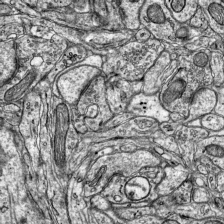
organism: Mouse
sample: Visual Cortex